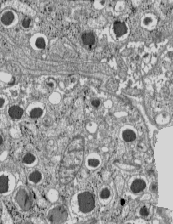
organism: C57BL Mouse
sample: Pancreatic islet